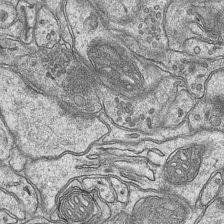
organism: Mouse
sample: CA1 Hippocampus